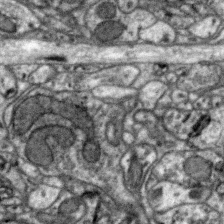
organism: Zebra finch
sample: Brain